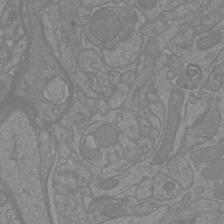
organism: Mouse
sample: Cortical neurons